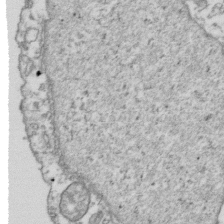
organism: Human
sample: Activated Jurkat CD4+ T cells